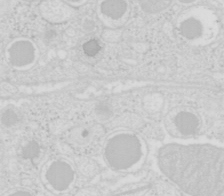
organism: Mouse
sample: Pancreas